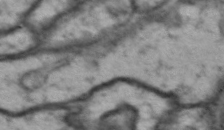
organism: Drosophila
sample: Brain